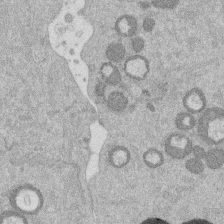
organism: Mouse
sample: Dividing mouse embryo 1 cell stage